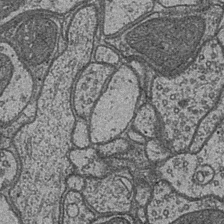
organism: Drosophila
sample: Optic medulla